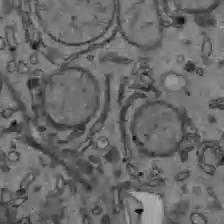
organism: C57BL Mouse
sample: Liver